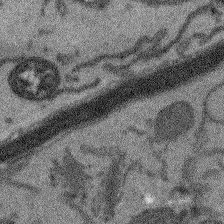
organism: Arabidopsis thaliana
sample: Root tip